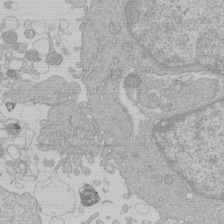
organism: Human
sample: Macrophage cells